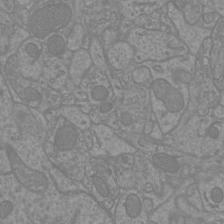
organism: Mouse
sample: Cortical neurons